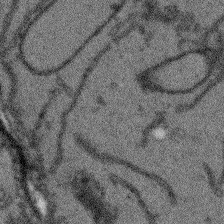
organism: Arabidopsis thaliana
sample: Root tip